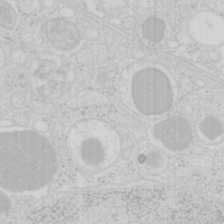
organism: Mouse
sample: Pancreas